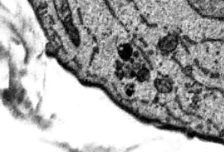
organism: Human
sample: HeLa cells